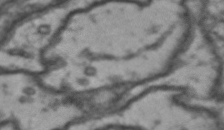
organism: Drosophila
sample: Brain